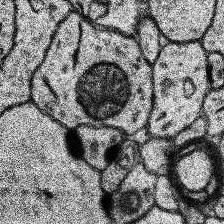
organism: Human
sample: Temporal Lobe